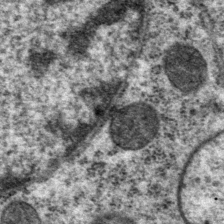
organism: P. pacificus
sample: Pharynx